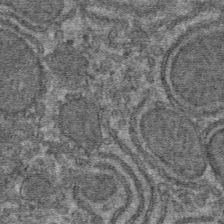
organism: Mouse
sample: Mouse hepatocytes